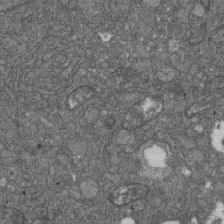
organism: Drosophila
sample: Nephrocyte